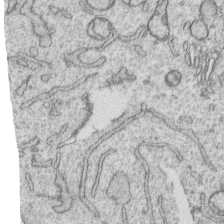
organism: Human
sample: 1205lu cells